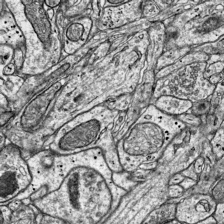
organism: Mouse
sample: Visual Cortex